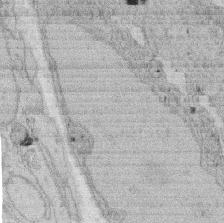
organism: Rat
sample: Salivary granule